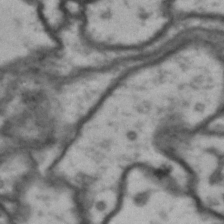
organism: Drosophila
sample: Brain